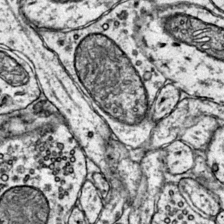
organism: Mouse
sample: Primary visual cortex